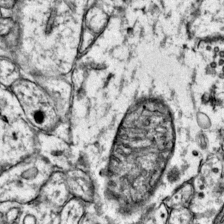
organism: Mouse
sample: Primary visual cortex